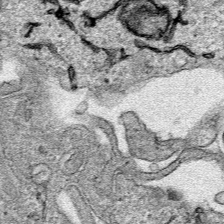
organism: Human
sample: Mitochondria in HCT116 cells